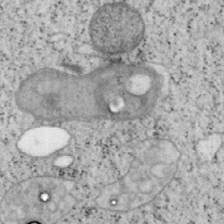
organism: Mouse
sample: OT-I killer T cells with ID8 ovarian cancer cells